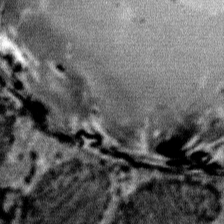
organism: Mouse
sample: Mouse Salivary gland